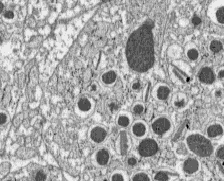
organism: C57BL Mouse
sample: Pancreatic islet